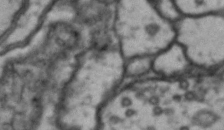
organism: Drosophila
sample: Brain